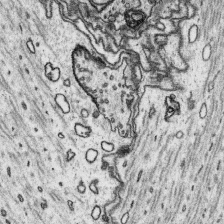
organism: Platynereis dumerilii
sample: Parapodia